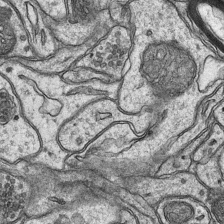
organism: Mouse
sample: CA1 Hippocampus